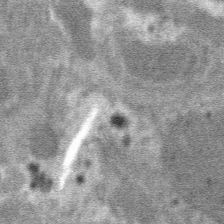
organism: Mouse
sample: Mouse hepatocytes